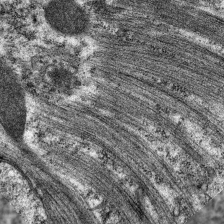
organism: C. elegans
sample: Pharynx